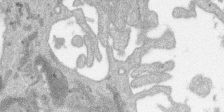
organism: Human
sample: Lung epithelial cells infected with SARS-CoV-2